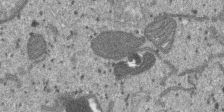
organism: Human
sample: Lung epithelial cells infected with SARS-CoV-2